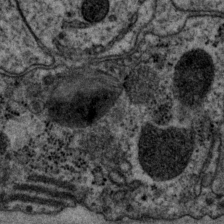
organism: P. pacificus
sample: Pharynx